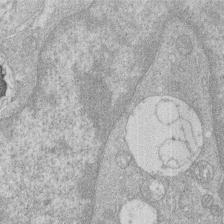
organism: Human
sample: Macrophage cells